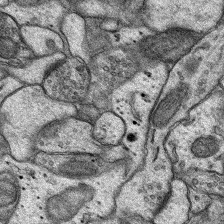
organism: Rat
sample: Hippocampus